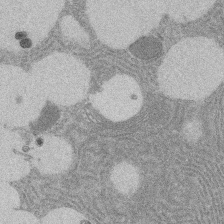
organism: Rat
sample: Salivary granule